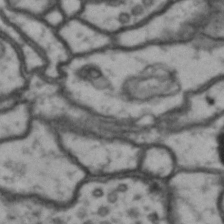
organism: Drosophila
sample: Brain